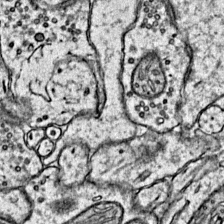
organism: Mouse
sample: Primary visual cortex